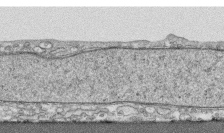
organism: Human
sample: CRL-1474